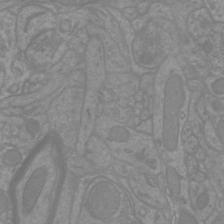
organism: Mouse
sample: Cortical neurons